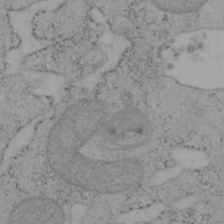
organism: Mouse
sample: OT-I killer T cells with ID8 ovarian cancer cells